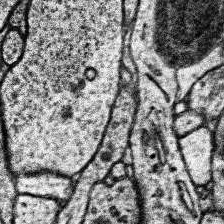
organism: Human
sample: Temporal Lobe